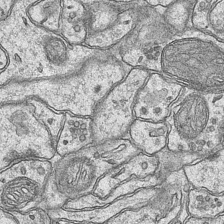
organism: Mouse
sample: CA1 Hippocampus